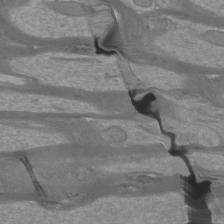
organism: Mouse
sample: Cortical neurons